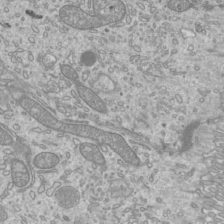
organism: Mouse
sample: Cilia; mouse epididymis